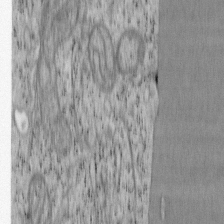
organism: Human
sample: HeLa cells